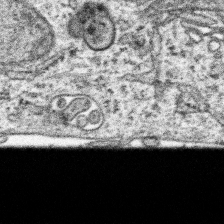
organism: Human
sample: HeLa cells